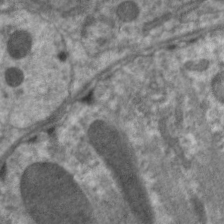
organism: C. elegans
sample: Pharynx